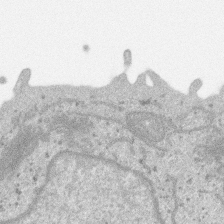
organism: Human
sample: Lung epithelial cells infected with SARS-CoV-2